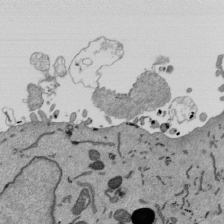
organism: Mouse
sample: ED-1 cell nuclei; centrioles